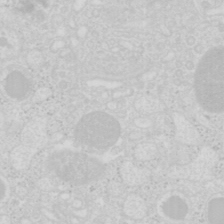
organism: Mouse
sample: Pancreas